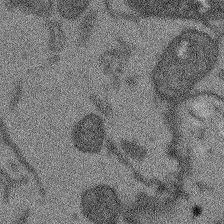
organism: Arabidopsis thaliana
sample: Root tip